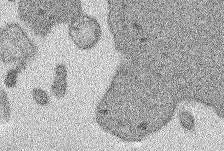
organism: Human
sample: HeLa cells